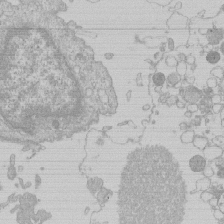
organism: Human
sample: Macrophage cells